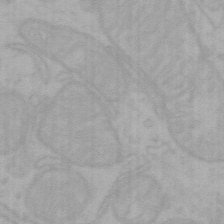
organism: Mouse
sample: Choroid plexus